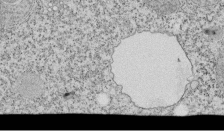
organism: Tetrahymena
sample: Cilia in tetrahymena